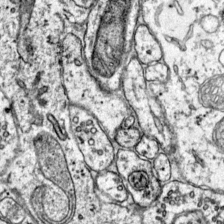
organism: Mouse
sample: Primary visual cortex